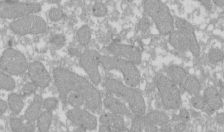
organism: Xenopus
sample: Cilia; centrioles in frog embryo cells